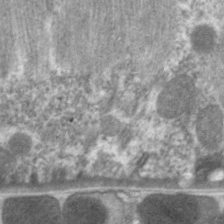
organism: C. elegans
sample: Pharynx